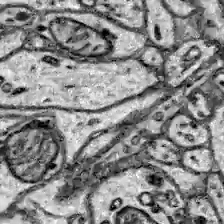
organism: Zebrafish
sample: Brain